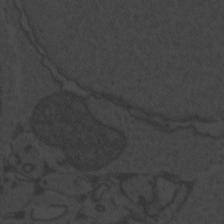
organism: Zebrafish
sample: Macrophage infected with Toxoplasma gondii